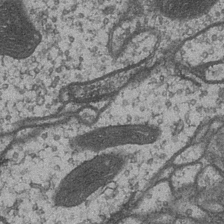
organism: Drosophila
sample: Optic medulla